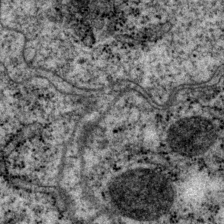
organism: P. pacificus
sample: Pharynx